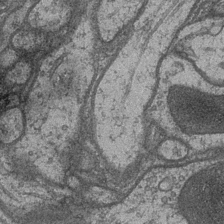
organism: Drosophila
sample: Optic medulla